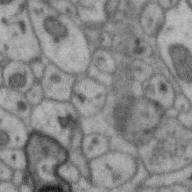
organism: Zebra finch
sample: Brain